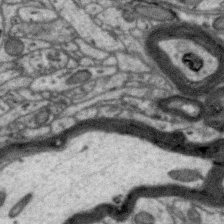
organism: Zebra finch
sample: Brain